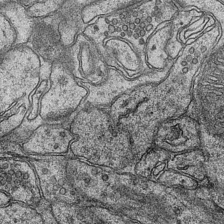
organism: Mouse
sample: CA1 Hippocampus